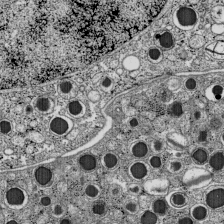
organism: C57BL Mouse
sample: Pancreatic islet